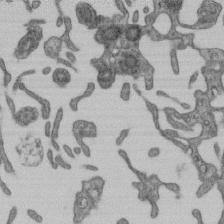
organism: Mouse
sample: Centriole in ependymal cells